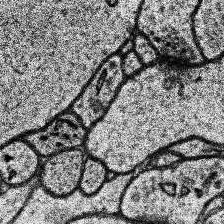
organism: Human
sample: Temporal Lobe